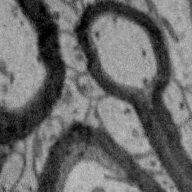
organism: Zebra finch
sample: Brain